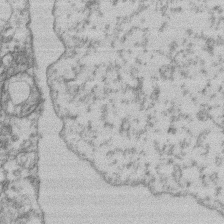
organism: Mouse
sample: T cell stromal cell synapse